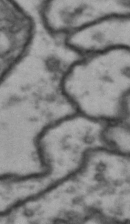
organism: Drosophila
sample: Brain